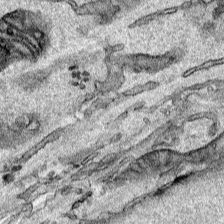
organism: Human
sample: Mitochondria in HCT116 cells